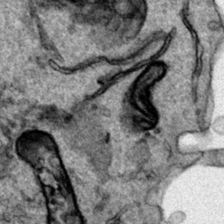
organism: Human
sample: Mitochondria in HCT116 cells